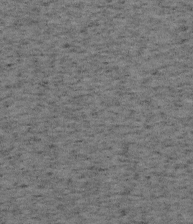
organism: Mouse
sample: OT-I killer T cells with ID8 ovarian cancer cells